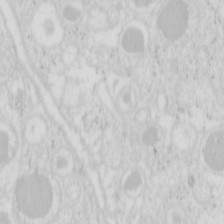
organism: Mouse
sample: Pancreas